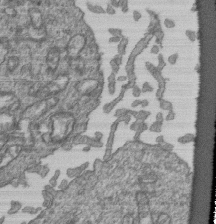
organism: Human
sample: Retinal organoid Rod and Cone cells